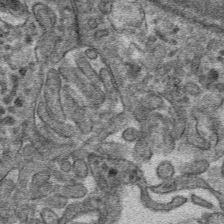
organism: Mouse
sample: Mouse hepatocytes